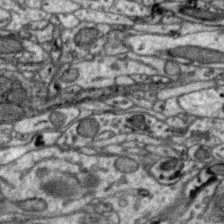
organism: Zebra finch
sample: Brain